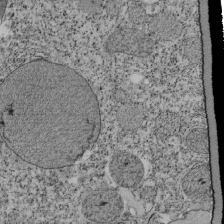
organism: Tetrahymena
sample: Cilia in tetrahymena